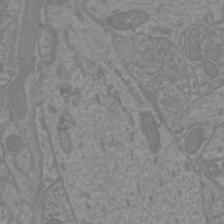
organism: Mouse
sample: Cortical neurons